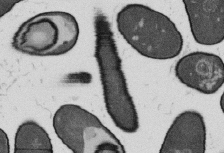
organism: B. subtilis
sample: Bacterial spore